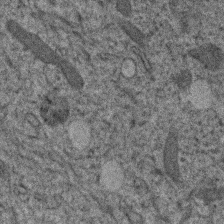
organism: Human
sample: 1205lu cells